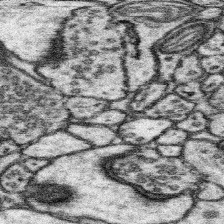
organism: Mouse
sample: Somatosensory cortex neuropil